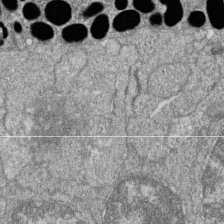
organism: Zebrafish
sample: Cilia; retinal pigment epithelium